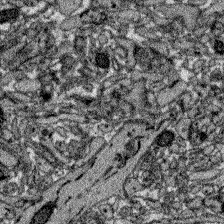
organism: Zebrafish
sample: Larval olfactory bulb